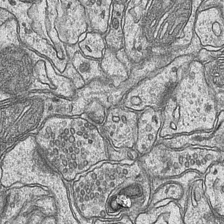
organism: Mouse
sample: CA1 Hippocampus